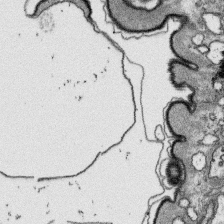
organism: Platynereis dumerilii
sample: Parapodia